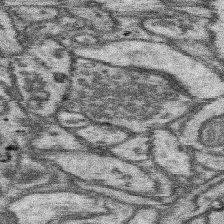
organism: Mouse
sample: Somatosensory cortex neuropil